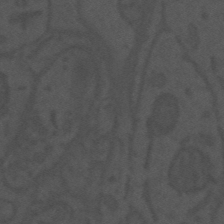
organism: Mouse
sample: Suprachiasmatic nucleus